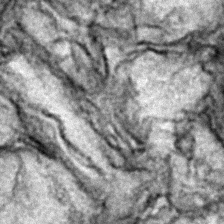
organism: Zebrafish